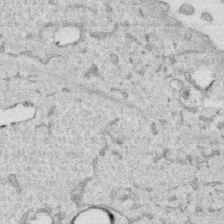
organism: Human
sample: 1205lu cells